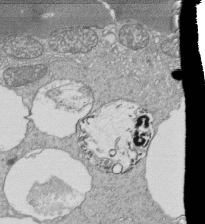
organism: Tetrahymena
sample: Cilia in tetrahymena